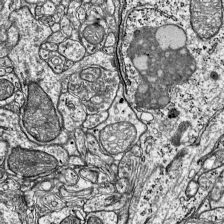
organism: Mouse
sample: Visual Cortex